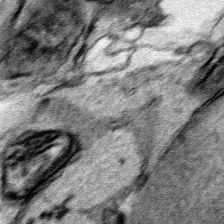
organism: Human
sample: Mitochondria in HCT116 cells